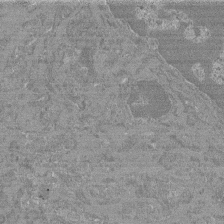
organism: Mouse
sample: Glomerulus